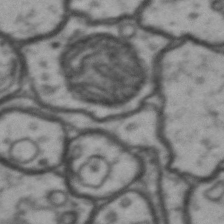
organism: Drosophila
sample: Brain